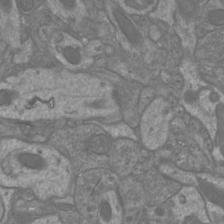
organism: Mouse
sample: Cortical neurons